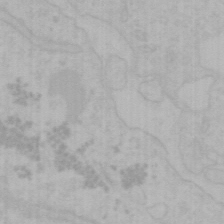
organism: Mouse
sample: Choroid plexus